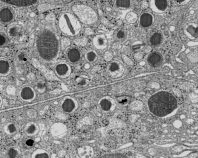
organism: C57BL Mouse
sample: Pancreatic islet